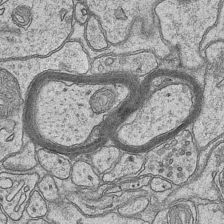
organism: Mouse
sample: CA1 Hippocampus